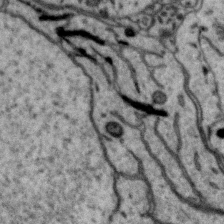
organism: Zebra finch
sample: Brain